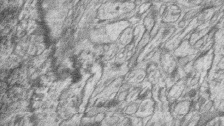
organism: Zebrafish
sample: synaptic ribbons in rod cells and cone cells